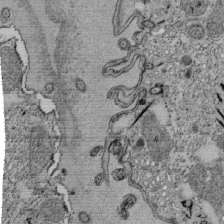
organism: Tetrahymena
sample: Cilia in tetrahymena